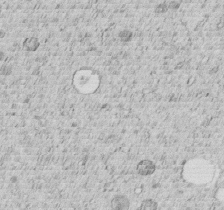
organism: C. elegans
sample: C. elegans embryo early stage